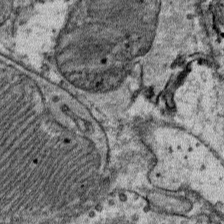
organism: Mouse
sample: Mouse Salivary gland